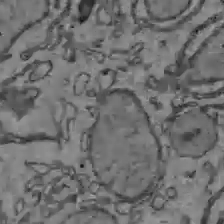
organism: C57BL Mouse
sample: Liver